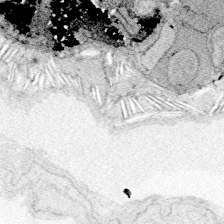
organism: Zebrafish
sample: Whole-Brain